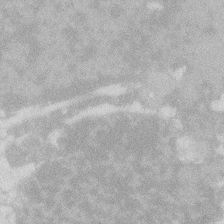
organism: Zebrafish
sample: Macrophage